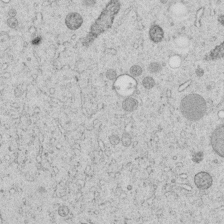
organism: C. elegans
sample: C. elegans embryo early stage